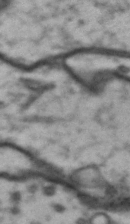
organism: Drosophila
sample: Brain